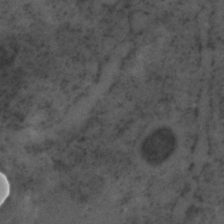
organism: C. elegans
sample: C. elegans embryo